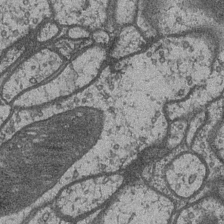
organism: Drosophila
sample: Optic medulla